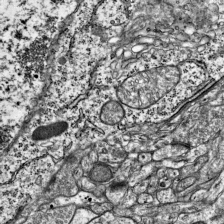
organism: Mouse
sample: Visual Cortex